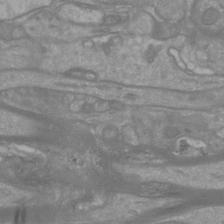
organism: Mouse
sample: Cortical neurons